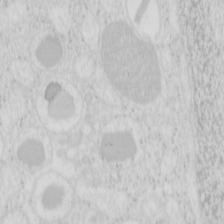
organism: Mouse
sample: Pancreas